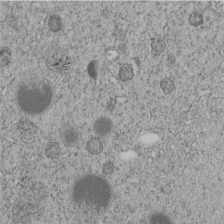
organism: C. elegans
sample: C. elegans embryo early stage